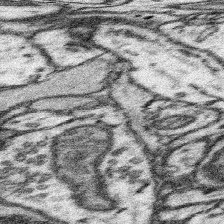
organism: Mouse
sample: Somatosensory cortex neuropil